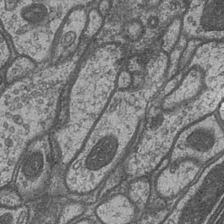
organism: Drosophila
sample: Optic medulla